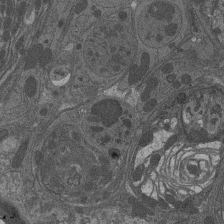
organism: Drosophila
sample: Antenna